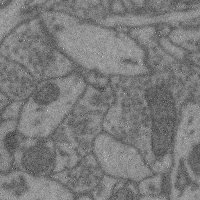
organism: Mouse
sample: Cerebral cortex